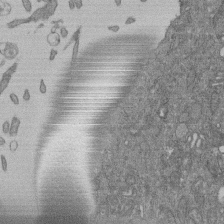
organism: Human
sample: Retinal organoid Rod and Cone cells